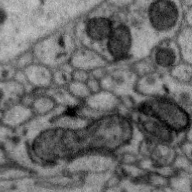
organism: Zebra finch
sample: Brain